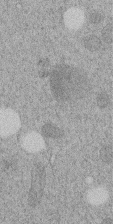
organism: C. elegans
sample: C. elegans embryo early stage